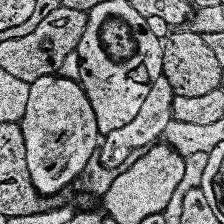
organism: Human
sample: Temporal Lobe